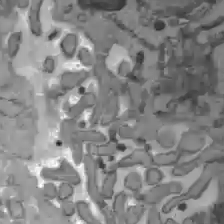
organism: C57BL Mouse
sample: Liver